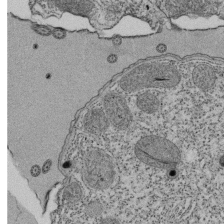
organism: Tetrahymena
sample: Cilia in tetrahymena